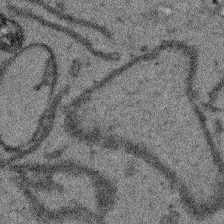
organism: Arabidopsis thaliana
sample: Root tip